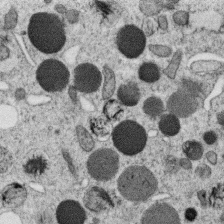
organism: C. elegans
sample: C. elegans oocyte; sperm cells